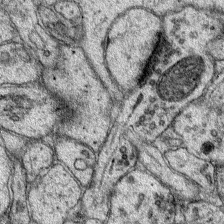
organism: Mouse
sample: Primary visual cortex